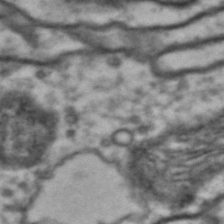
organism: Drosophila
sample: Brain